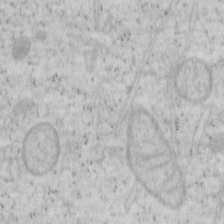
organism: Human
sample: HeLa cells